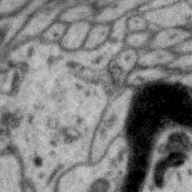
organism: Zebra finch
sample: Brain